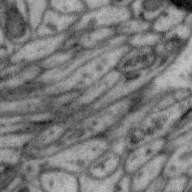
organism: Zebra finch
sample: Brain